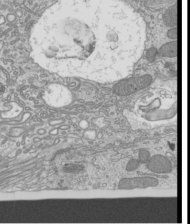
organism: Mouse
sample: Cilia; mouse epididymis